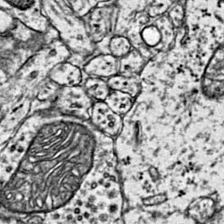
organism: Mouse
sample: Primary visual cortex